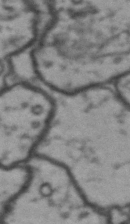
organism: Drosophila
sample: Brain